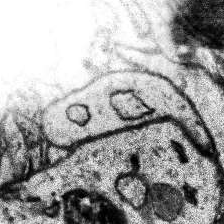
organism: Human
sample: Temporal Lobe